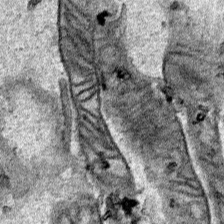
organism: Human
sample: Mitochondria in HCT116 cells